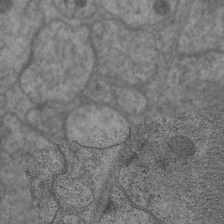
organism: C. elegans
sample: Pharynx